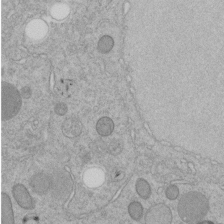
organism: C. elegans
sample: C. elegans embryo early stage